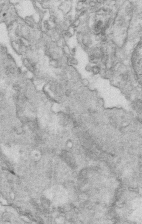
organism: Mouse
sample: Multiciliated cells